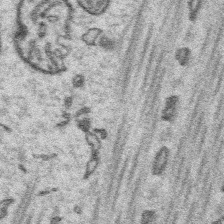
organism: Platynereis dumerilii